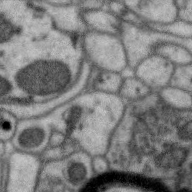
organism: Zebra finch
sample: Brain